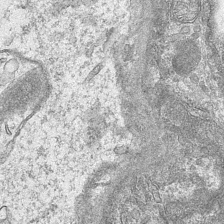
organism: Mouse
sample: CA1 Hippocampus